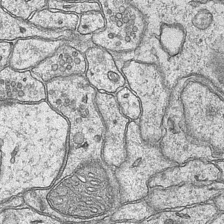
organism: Mouse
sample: CA1 Hippocampus